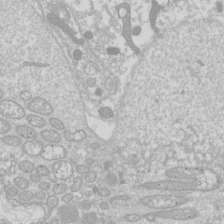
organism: Drosophila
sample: Cell division; meiosis; drosophila spermatocytes